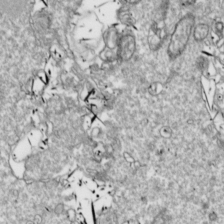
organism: Drosophila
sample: Cell division; meiosis; drosophila spermatocytes